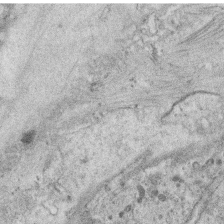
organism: C. elegans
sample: C. elegans oocyte; sperm cells